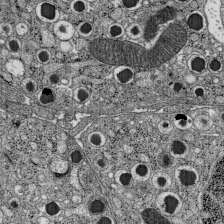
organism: C57BL Mouse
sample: Pancreatic islet